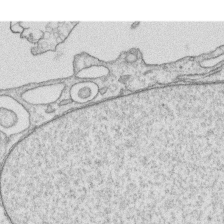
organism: Human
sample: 1205lu cells